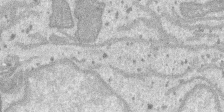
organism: Human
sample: Lung epithelial cells infected with SARS-CoV-2